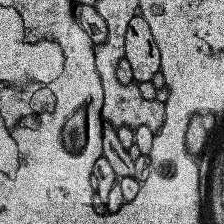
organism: Human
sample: Temporal Lobe